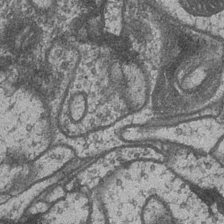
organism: Drosophila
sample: Optic medulla